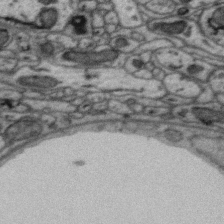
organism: Zebra finch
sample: Brain